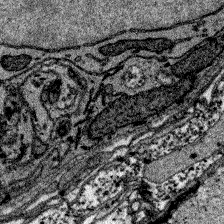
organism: Zebrafish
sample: Larval olfactory bulb